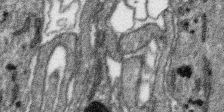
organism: Human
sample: Lung epithelial cells infected with SARS-CoV-2